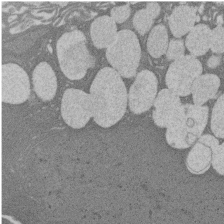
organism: Rat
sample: Salivary granule